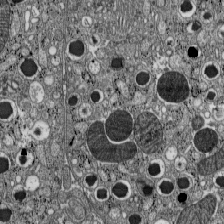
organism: C57BL Mouse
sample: Pancreatic islet